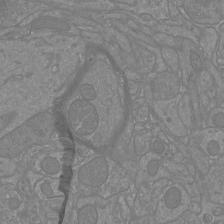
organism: Mouse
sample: Cortical neurons